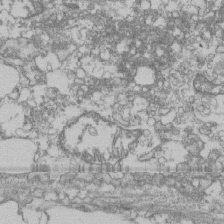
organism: Human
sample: Fibroblast cells